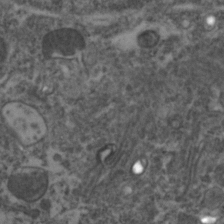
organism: Zebrafish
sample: Zebrafish embryo